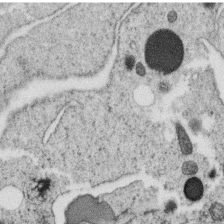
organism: C. elegans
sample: C. elegans oocyte; sperm cells